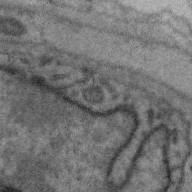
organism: Zebra finch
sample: Brain